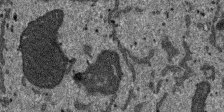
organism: Human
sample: Lung epithelial cells infected with SARS-CoV-2